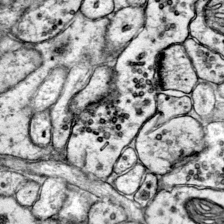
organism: Mouse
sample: Primary visual cortex